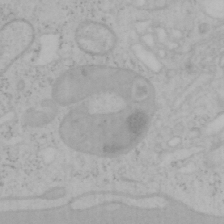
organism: Mouse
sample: OT-I killer T cells with ID8 ovarian cancer cells